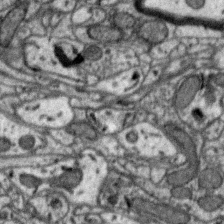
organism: Zebra finch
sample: Brain